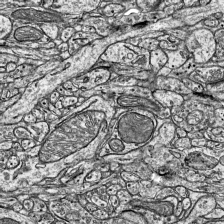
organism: Mouse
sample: Visual Cortex